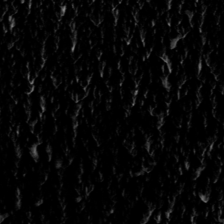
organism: Toxoplasma gondii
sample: Parasites in a vacuole inside a host cell